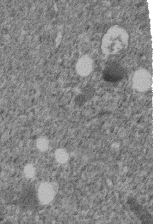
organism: C. elegans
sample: C. elegans embryo early stage